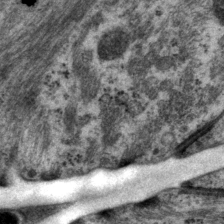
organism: P. pacificus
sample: Pharynx